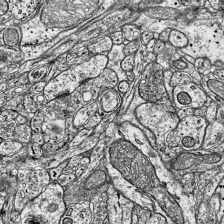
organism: Mouse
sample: Visual Cortex